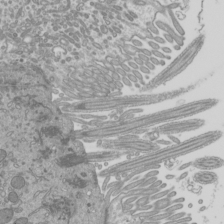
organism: Mouse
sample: Cilia; mouse epididymis